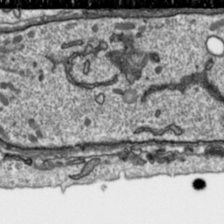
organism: Toxoplasma gondii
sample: Parasites in a vacuole inside a host cell